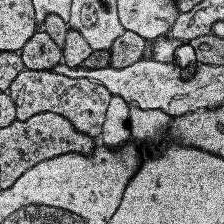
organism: Human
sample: Temporal Lobe